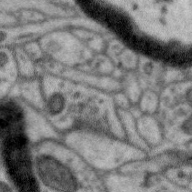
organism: Zebra finch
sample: Brain